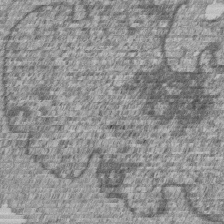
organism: Human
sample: MDA-MB-231 cells